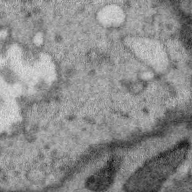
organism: Zebra finch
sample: Brain